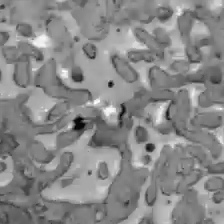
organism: C57BL Mouse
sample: Liver